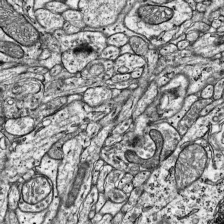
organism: Mouse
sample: Visual Cortex